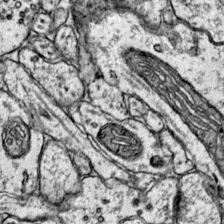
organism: Mouse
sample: Primary visual cortex